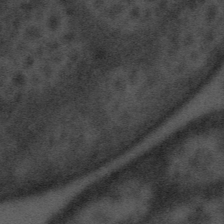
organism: Tuwongella immobilis